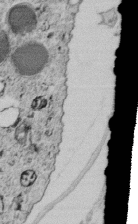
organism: C. elegans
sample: C. elegans embryo early stage